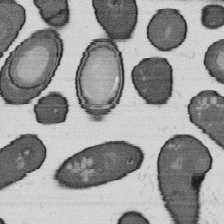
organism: B. subtilis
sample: Bacterial spore